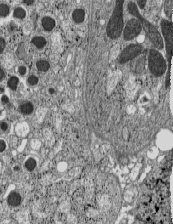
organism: C57BL Mouse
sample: Pancreatic islet